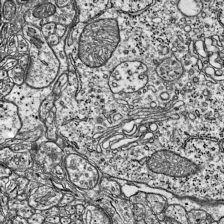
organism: Mouse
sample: Visual Cortex